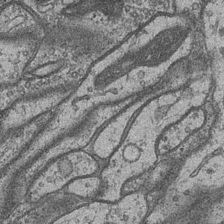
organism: Drosophila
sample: Optic medulla